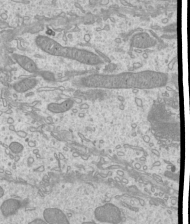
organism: Mouse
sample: Cilia; mouse epididymis